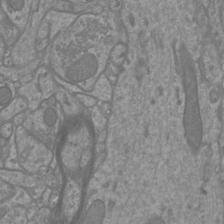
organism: Mouse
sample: Cortical neurons